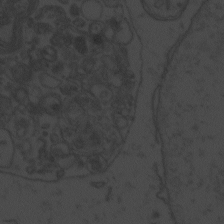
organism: Zebrafish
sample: Macrophage infected with Toxoplasma gondii